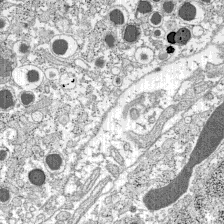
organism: C57BL Mouse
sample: Pancreatic islet